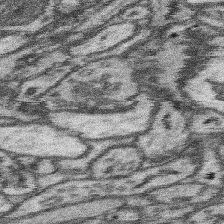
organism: Mouse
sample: Somatosensory cortex neuropil